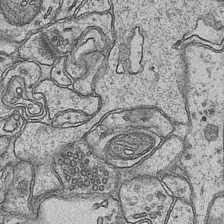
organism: Mouse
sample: CA1 Hippocampus